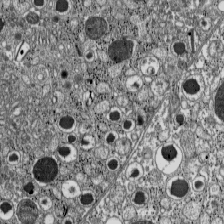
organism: C57BL Mouse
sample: Pancreatic islet